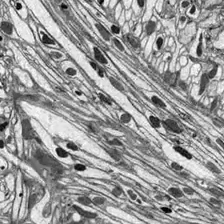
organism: Drosophila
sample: Optic lobe